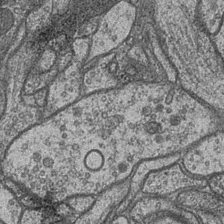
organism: Drosophila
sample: Optic medulla